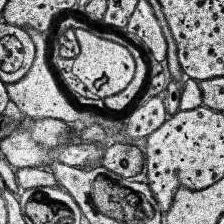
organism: Human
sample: Temporal Lobe